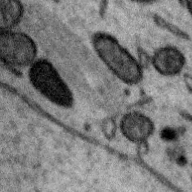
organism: Zebra finch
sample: Brain